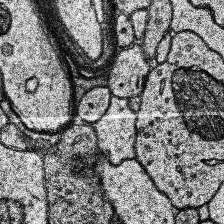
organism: Human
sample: Temporal Lobe